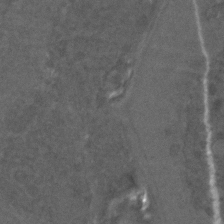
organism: C. elegans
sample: C. elegans embryo